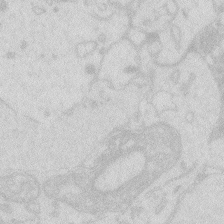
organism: Zebrafish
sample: Macrophage